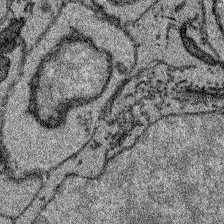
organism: Zebrafish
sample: Larval olfactory bulb